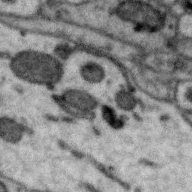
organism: Zebra finch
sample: Brain